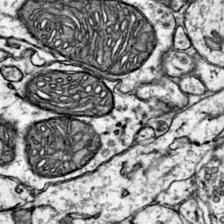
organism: Mouse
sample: Primary visual cortex